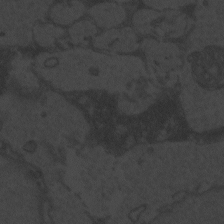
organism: Zebrafish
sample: Macrophage infected with Toxoplasma gondii